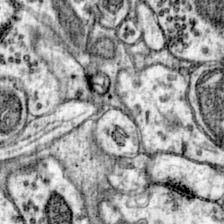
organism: Mouse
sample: Primary visual cortex